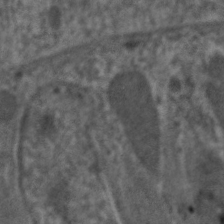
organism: C. elegans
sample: Pharynx